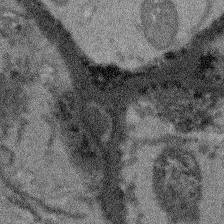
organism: Arabidopsis thaliana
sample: Root tip